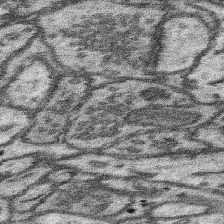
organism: Mouse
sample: Somatosensory cortex neuropil